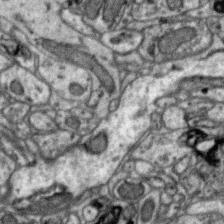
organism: Zebra finch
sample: Brain